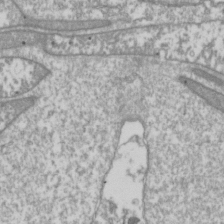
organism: Drosophila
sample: Cell division; meiosis; drosophila spermatocytes